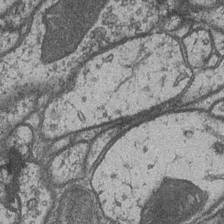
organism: Drosophila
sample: Optic medulla